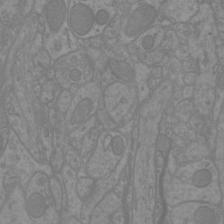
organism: Mouse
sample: Cortical neurons